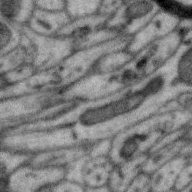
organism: Zebra finch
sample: Brain